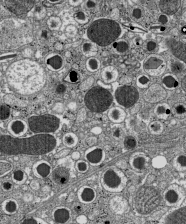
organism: C57BL Mouse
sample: Pancreatic islet